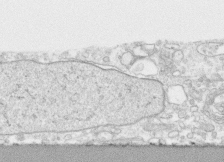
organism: Human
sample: CRL-1474